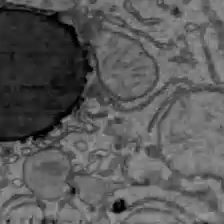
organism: C57BL Mouse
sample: Liver